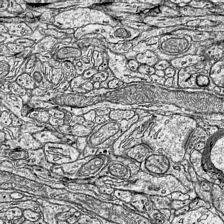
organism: Mouse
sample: Visual Cortex